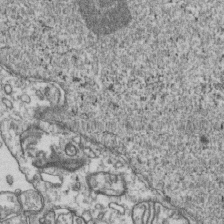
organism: Human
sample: Activated Jurkat CD4+ T cells